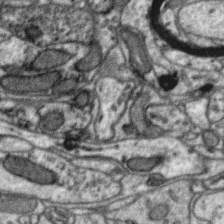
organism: Zebra finch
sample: Brain